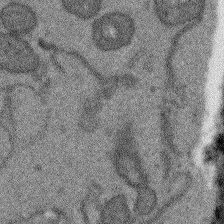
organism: Arabidopsis thaliana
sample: Root tip